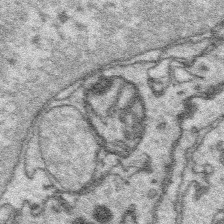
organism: Platynereis dumerilii